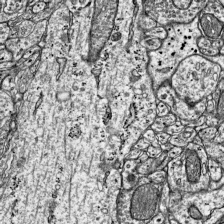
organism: Mouse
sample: Visual Cortex